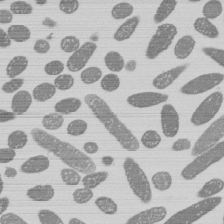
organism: E. coli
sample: Bacterial nucleoid